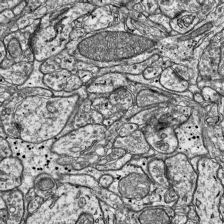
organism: Mouse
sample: Visual Cortex